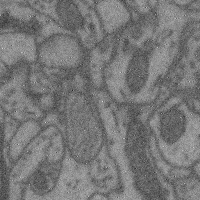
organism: Mouse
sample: Cerebral cortex